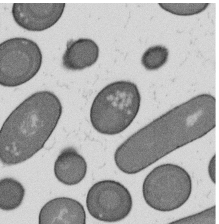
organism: B. subtilis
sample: Bacterial spore